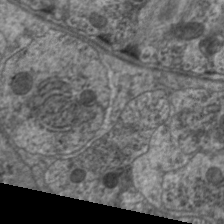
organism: C. elegans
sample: Pharynx